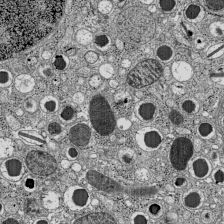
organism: C57BL Mouse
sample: Pancreatic islet